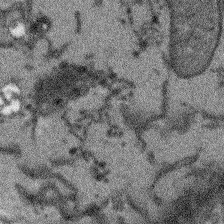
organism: Arabidopsis thaliana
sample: Root tip